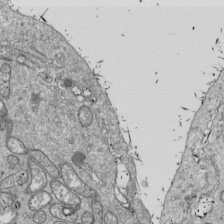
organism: Drosophila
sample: Cell division; meiosis; drosophila spermatocytes